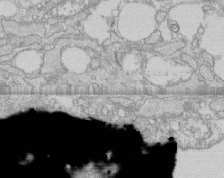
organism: Human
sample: CRL-1474